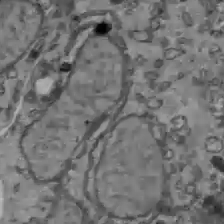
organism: C57BL Mouse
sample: Liver